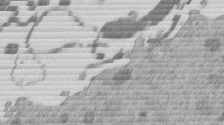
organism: Mouse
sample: Dividing mouse embryo 1 cell stage